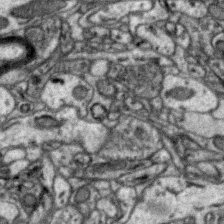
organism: Zebra finch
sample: Brain